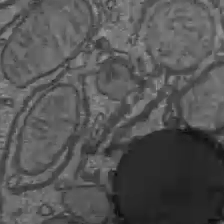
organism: C57BL Mouse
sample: Liver